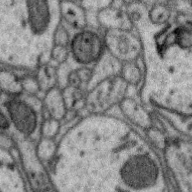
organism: Zebra finch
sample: Brain